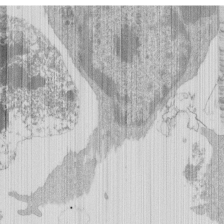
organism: Mouse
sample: Activated Pmel transgenic CD8+ T Cells